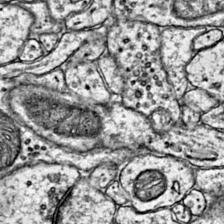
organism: Mouse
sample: Primary visual cortex